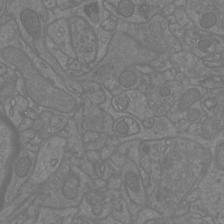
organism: Mouse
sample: Cortical neurons